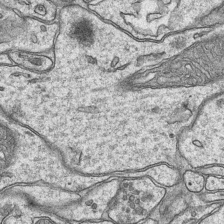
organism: Mouse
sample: CA1 Hippocampus